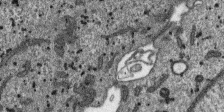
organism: Human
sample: Lung epithelial cells infected with SARS-CoV-2